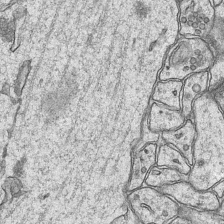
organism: Mouse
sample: CA1 Hippocampus